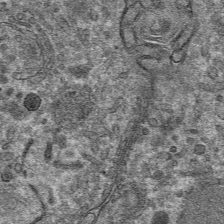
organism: Mouse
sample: Mouse hepatocytes